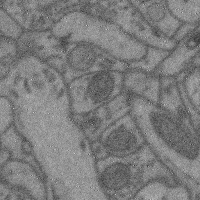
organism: Mouse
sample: Cerebral cortex